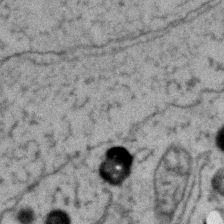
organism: Zebrafish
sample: Zebrafish embryo